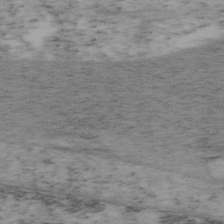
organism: Mouse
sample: OT-I killer T cells with ID8 ovarian cancer cells